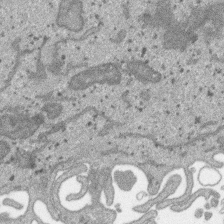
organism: Human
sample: Lung epithelial cells infected with SARS-CoV-2